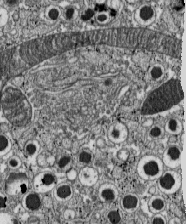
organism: C57BL Mouse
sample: Pancreatic islet